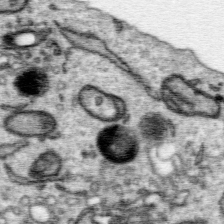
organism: Human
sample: HeLa cells